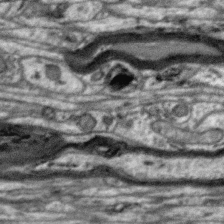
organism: Zebra finch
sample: Brain